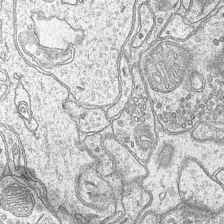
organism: Mouse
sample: CA1 Hippocampus